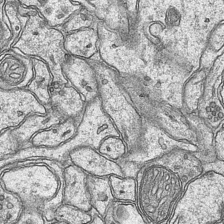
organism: Mouse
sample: CA1 Hippocampus